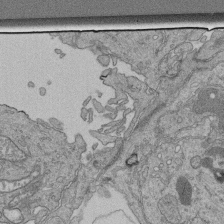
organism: Human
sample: Retinal organoid Rod and Cone cells